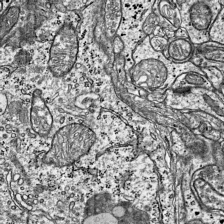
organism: Mouse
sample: Visual Cortex